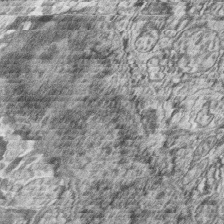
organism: Zebrafish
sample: synaptic ribbons in rod cells and cone cells